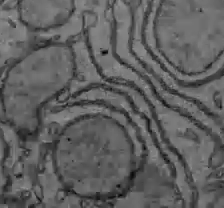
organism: C57BL Mouse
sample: Liver